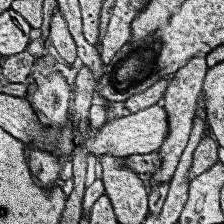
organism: Human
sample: Temporal Lobe